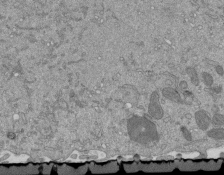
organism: Mouse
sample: ED-1 cell nuclei; centrioles